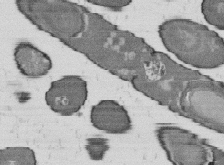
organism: B. subtilis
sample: Bacterial spore